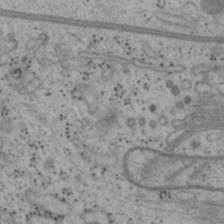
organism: Human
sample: HeLa cells